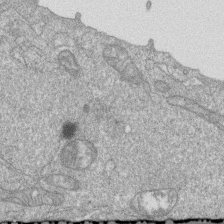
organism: Human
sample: HeLa cell HIV synapse